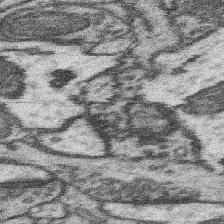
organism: Mouse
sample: Somatosensory cortex neuropil